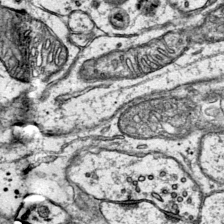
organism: Mouse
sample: Primary visual cortex